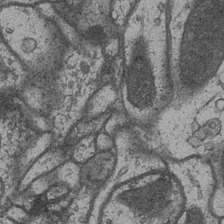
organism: Drosophila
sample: Optic medulla